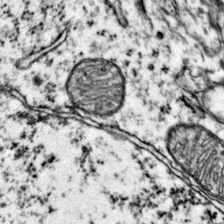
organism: Mouse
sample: Primary visual cortex